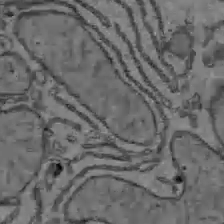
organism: C57BL Mouse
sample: Liver